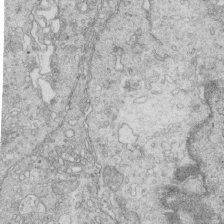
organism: Mouse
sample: Multiciliated cells